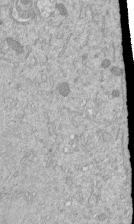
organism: Mouse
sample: ED-1 cell nuclei; centrioles